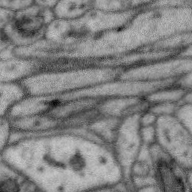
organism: Zebra finch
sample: Brain